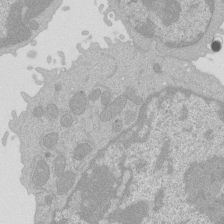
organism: Mouse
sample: Activated Pmel transgenic CD8+ T Cells